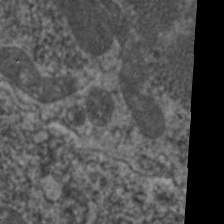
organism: C. elegans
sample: Pharynx